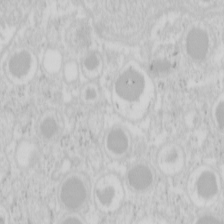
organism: Mouse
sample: Pancreas